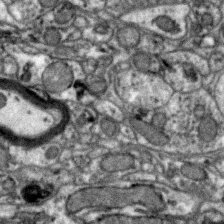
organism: Zebra finch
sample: Brain